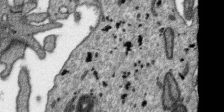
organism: Human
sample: Lung epithelial cells, uninfected (mock) control